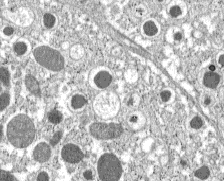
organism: C57BL Mouse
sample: Pancreatic islet